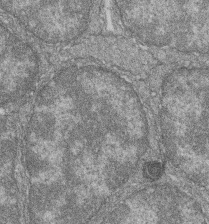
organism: Zebrafish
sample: Cilia; retinal pigment epithelium